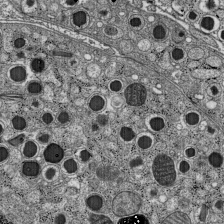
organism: C57BL Mouse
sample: Pancreatic islet